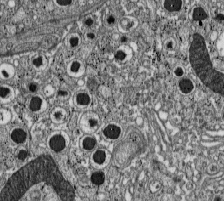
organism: C57BL Mouse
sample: Pancreatic islet